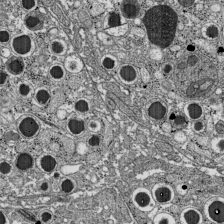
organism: C57BL Mouse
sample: Pancreatic islet